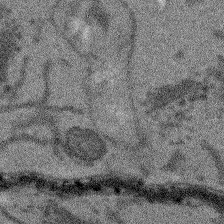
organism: Arabidopsis thaliana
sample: Root tip